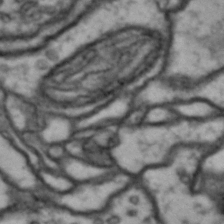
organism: Drosophila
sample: Brain